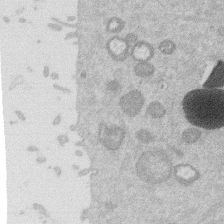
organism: Mouse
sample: Dividing mouse embryo 1 cell stage